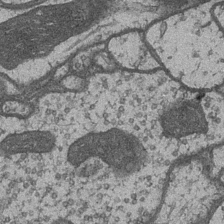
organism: Drosophila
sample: Optic medulla